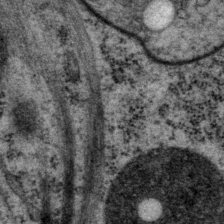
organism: P. pacificus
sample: Pharynx